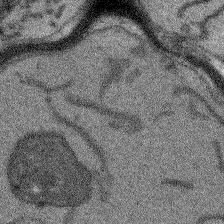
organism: Arabidopsis thaliana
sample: Root tip